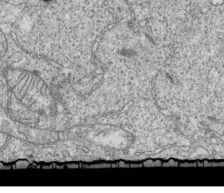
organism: Human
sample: HeLa cell HIV synapse